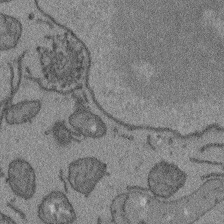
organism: Arabidopsis thaliana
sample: Root tip